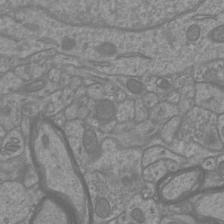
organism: Mouse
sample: Cortical neurons